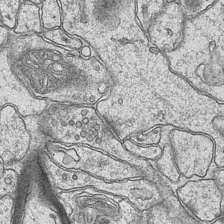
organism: Mouse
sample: CA1 Hippocampus